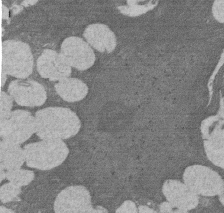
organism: Rat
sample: Salivary granule